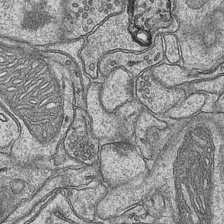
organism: Mouse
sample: CA1 Hippocampus